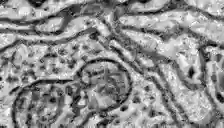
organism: Zebrafish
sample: Brain